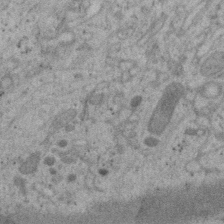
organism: Human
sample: HeLa cells